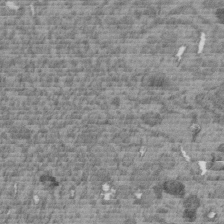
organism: C. elegans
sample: C. elegans embryo early stage